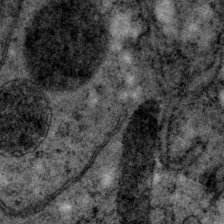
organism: P. pacificus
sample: Pharynx